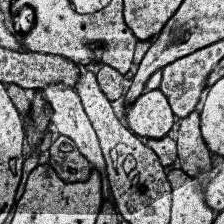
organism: Human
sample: Temporal Lobe